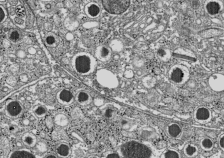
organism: C57BL Mouse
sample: Pancreatic islet